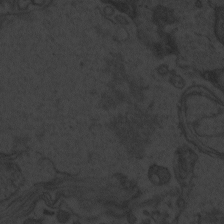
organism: Zebrafish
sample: Macrophage infected with Toxoplasma gondii